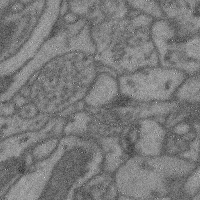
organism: Mouse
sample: Cerebral cortex